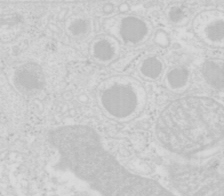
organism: Mouse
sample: Pancreas